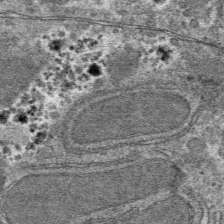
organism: Mouse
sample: Mouse hepatocytes